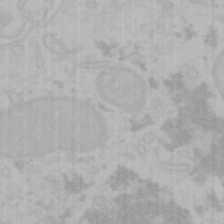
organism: Mouse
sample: Choroid plexus